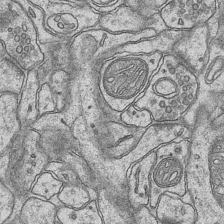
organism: Mouse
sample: CA1 Hippocampus